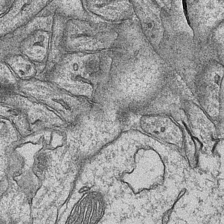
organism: Mouse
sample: CA1 Hippocampus